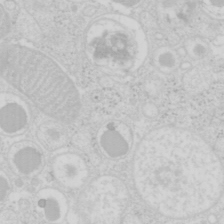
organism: Mouse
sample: Pancreas